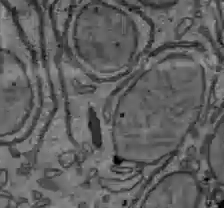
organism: C57BL Mouse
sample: Liver